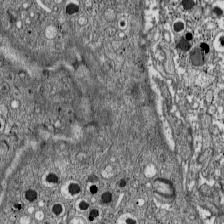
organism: C57BL Mouse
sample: Pancreatic islet